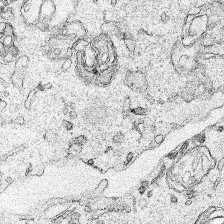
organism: Human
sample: Mitochondria in HCT116 cells